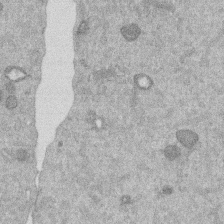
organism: Mouse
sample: Dividing mouse embryo 1 cell stage